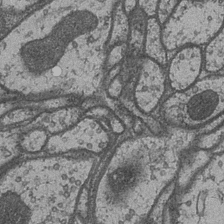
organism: Drosophila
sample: Optic medulla